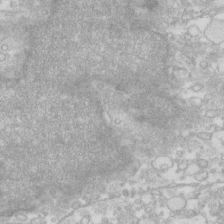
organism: Human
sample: Fibroblast cells